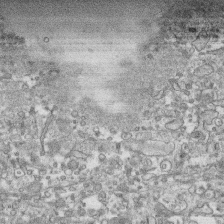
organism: Human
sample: CRL-1474